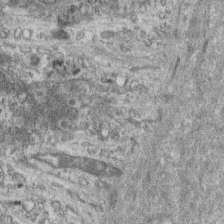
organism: Mouse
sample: Centriole in ependymal cells